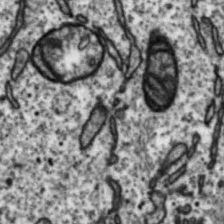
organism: Human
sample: HeLa cells